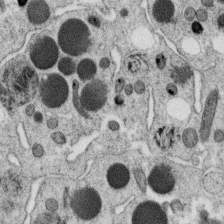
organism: C. elegans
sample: C. elegans oocyte; sperm cells